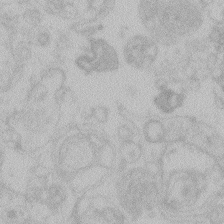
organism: Zebrafish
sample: Macrophage infected with Toxoplasma gondii